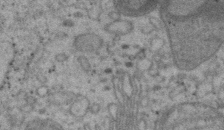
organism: Human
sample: HeLa cells